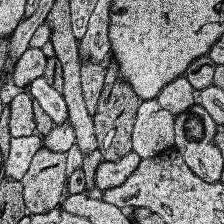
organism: Human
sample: Temporal Lobe